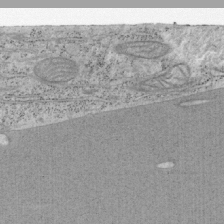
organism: Human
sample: HeLa cells